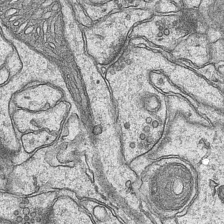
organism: Mouse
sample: CA1 Hippocampus